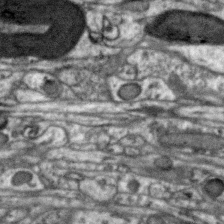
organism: Zebra finch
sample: Brain